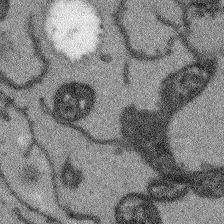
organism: Arabidopsis thaliana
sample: Root tip